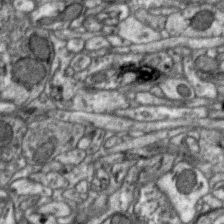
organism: Zebra finch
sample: Brain